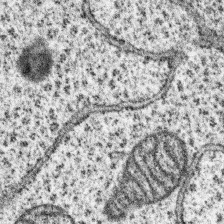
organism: Human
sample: HeLa cells